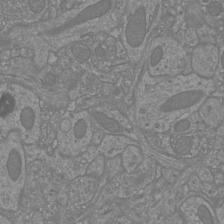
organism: Mouse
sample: Cortical neurons